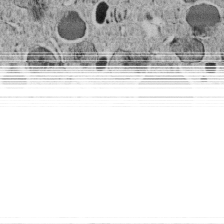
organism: C. elegans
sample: C. elegans embryo early stage